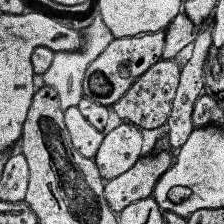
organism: Human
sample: Temporal Lobe